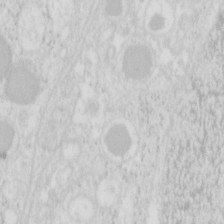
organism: Mouse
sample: Pancreas